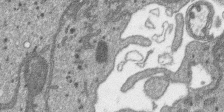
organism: Human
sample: Lung epithelial cells infected with SARS-CoV-2